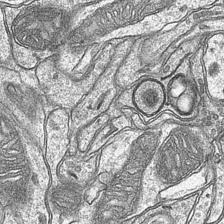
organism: Mouse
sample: CA1 Hippocampus